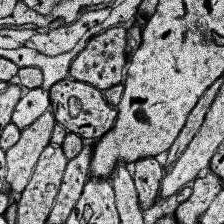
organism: Human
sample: Temporal Lobe